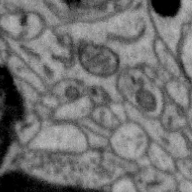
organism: Zebra finch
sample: Brain